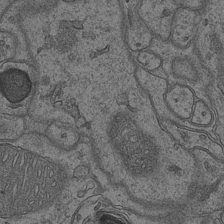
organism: Mouse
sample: CA1 Hippocampus